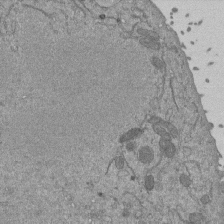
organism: Mouse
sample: ED-1 cell nuclei; centrioles